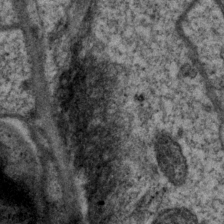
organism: P. pacificus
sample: Pharynx